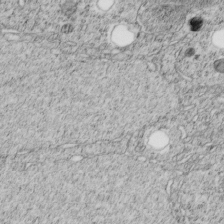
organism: C. elegans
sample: C. elegans embryo early stage